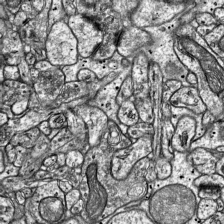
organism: Mouse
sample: Visual Cortex